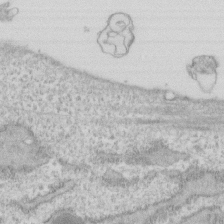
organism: Human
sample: Fibroblast cells